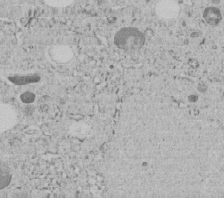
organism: C. elegans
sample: C. elegans embryo early stage